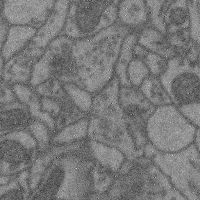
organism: Mouse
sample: Cerebral cortex